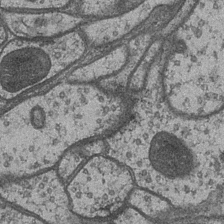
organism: Drosophila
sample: Optic medulla